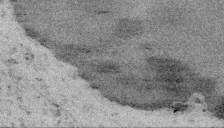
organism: Embia sp.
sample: Silk gland